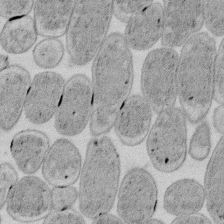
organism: E. coli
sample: Bacterial nucleoid